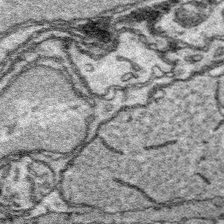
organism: Platynereis dumerilii